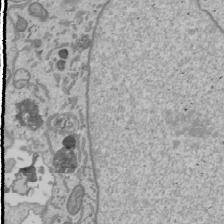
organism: Human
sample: Mitochondria in U2OS cells